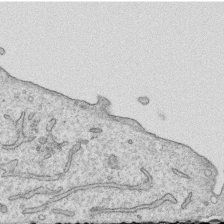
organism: Human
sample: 1205lu cells